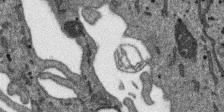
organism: Human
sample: Lung epithelial cells infected with SARS-CoV-2